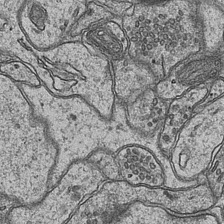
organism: Mouse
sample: CA1 Hippocampus